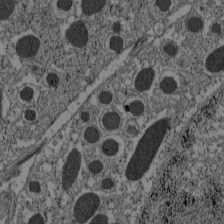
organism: C57BL Mouse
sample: Pancreatic islet